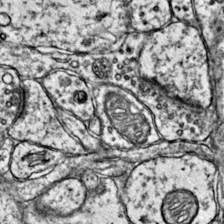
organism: Mouse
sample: Primary visual cortex